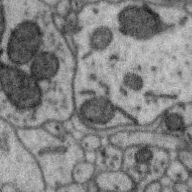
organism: Zebra finch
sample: Brain